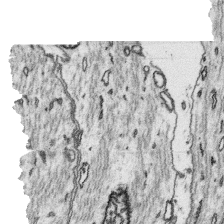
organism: Platynereis dumerilii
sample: Parapodia